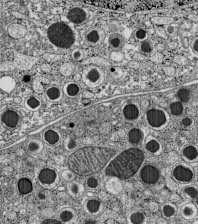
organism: C57BL Mouse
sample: Pancreatic islet